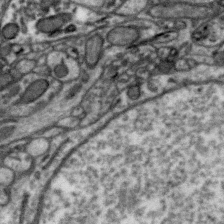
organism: Zebra finch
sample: Brain